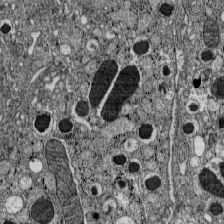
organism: C57BL Mouse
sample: Pancreatic islet